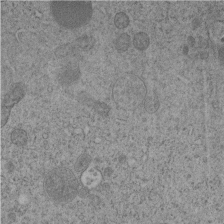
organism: C. elegans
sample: C. elegans embryo early stage